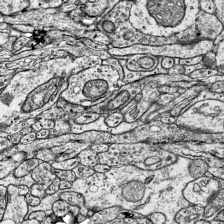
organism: Mouse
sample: Visual Cortex